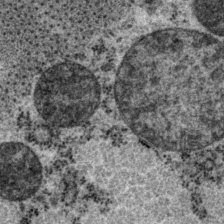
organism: P. pacificus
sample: Pharynx